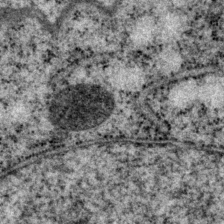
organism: P. pacificus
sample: Pharynx